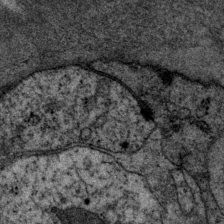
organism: P. pacificus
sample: Pharynx